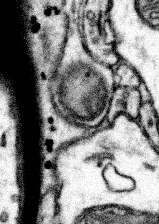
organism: Mouse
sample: Somatosensory cortex neuropil